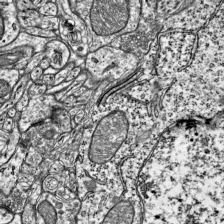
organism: Mouse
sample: Visual Cortex